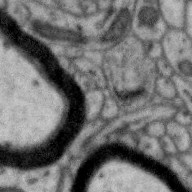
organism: Zebra finch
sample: Brain